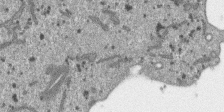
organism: Human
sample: Lung epithelial cells infected with SARS-CoV-2